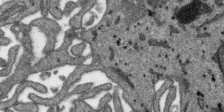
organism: Human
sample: Lung epithelial cells, uninfected (mock) control